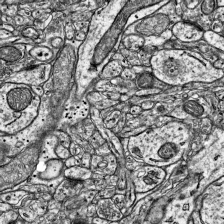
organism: Mouse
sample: Visual Cortex